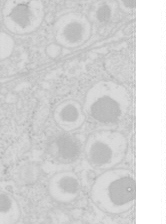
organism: Mouse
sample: Pancreas